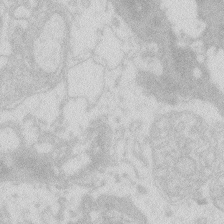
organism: Zebrafish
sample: Macrophage